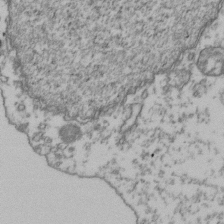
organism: Human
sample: Activated Jurkat CD4+ T cells